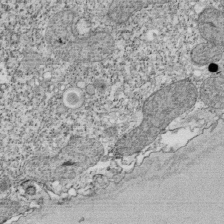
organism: Tetrahymena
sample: Cilia in tetrahymena